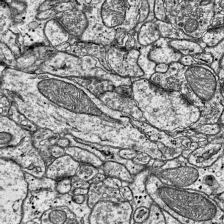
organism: Mouse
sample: Visual Cortex